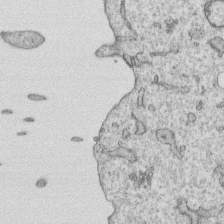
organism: Human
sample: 1205lu cells